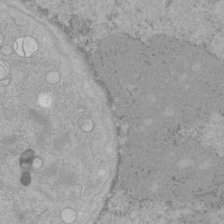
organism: Human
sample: Mitochondria in HCT116 cells